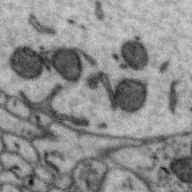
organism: Zebra finch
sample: Brain